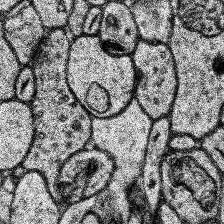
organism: Human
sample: Temporal Lobe